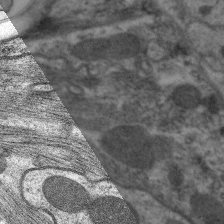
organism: C. elegans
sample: Pharynx